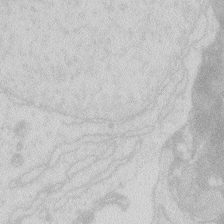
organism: Zebrafish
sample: Macrophage